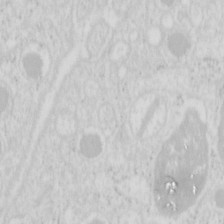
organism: Mouse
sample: Pancreas